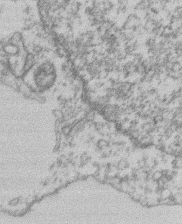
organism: Mouse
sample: T cell stromal cell synapse